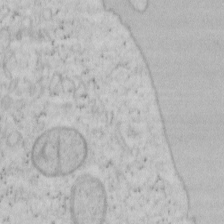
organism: Human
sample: HeLa cells